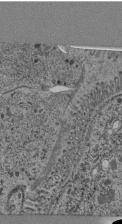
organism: C. elegans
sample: C. elegans pharynx